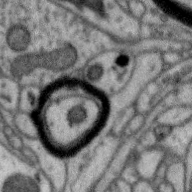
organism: Zebra finch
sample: Brain